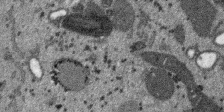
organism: Human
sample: Lung epithelial cells infected with SARS-CoV-2